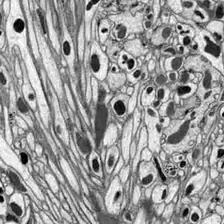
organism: Drosophila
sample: Optic lobe